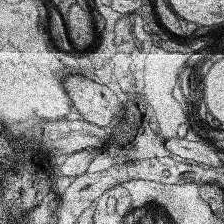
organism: Human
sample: Temporal Lobe